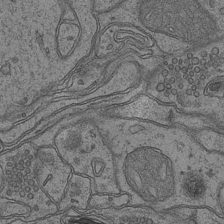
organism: Mouse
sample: CA1 Hippocampus